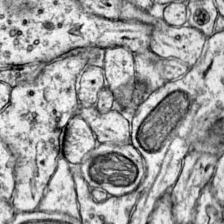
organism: Mouse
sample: Primary visual cortex